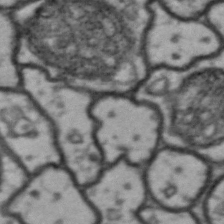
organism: Drosophila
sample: Brain